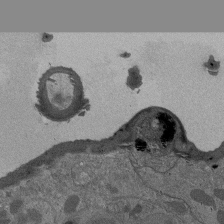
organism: Drosophila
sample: Antenna